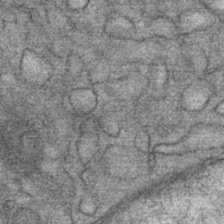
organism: Mouse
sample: Mouse Salivary gland